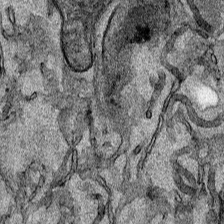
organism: Human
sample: Mitochondria in HCT116 cells